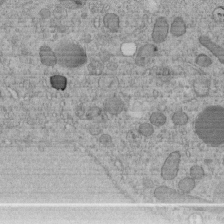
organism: C. elegans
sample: C. elegans embryo early stage